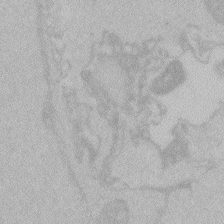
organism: Zebrafish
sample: Macrophage infected with Toxoplasma gondii